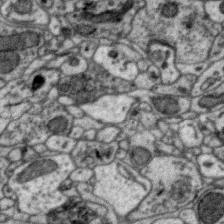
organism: Zebra finch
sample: Brain